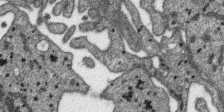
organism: Human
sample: Lung epithelial cells infected with SARS-CoV-2